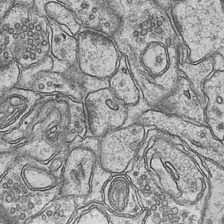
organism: Mouse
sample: CA1 Hippocampus